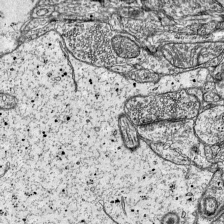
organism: Mouse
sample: Visual Cortex